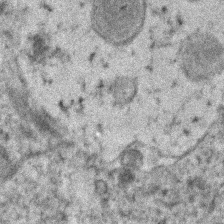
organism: Human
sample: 1205lu cells